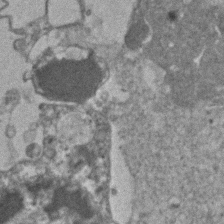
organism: Human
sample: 1205lu cells